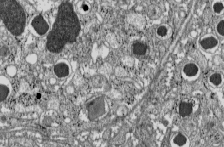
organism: C57BL Mouse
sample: Pancreatic islet